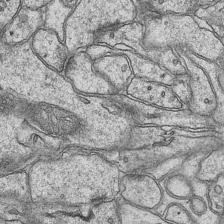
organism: Mouse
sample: CA1 Hippocampus